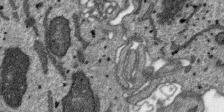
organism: Human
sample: Lung epithelial cells, uninfected (mock) control